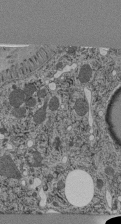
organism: C. elegans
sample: C. elegans pharynx